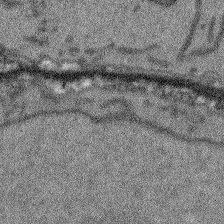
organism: Arabidopsis thaliana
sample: Root tip